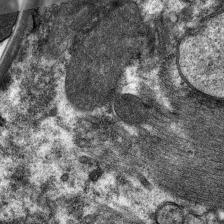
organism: C. elegans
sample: Pharynx